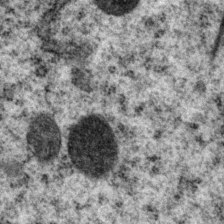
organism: P. pacificus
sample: Pharynx